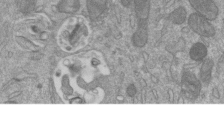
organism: Mouse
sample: ED-1 cell nuclei; centrioles